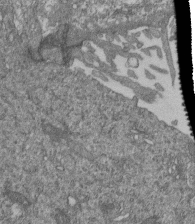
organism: Human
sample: Retinal organoid Rod and Cone cells